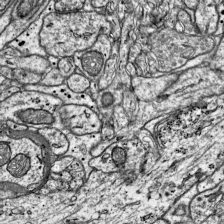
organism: Mouse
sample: Visual Cortex